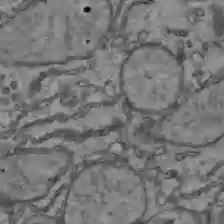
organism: C57BL Mouse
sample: Liver